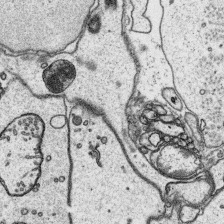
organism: Platynereis dumerilii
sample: Parapodia